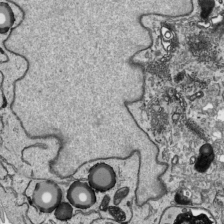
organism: Human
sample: Mitochondria in HCT116 cells